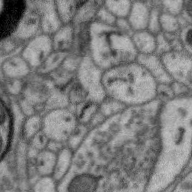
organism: Zebra finch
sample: Brain